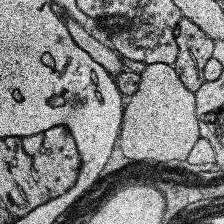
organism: Human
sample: Temporal Lobe